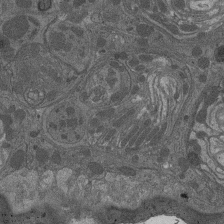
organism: Drosophila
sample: Antenna